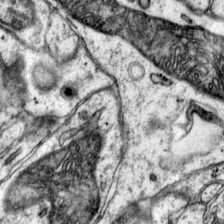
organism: Mouse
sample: Primary visual cortex